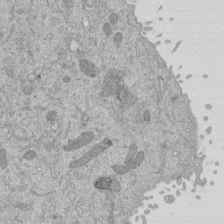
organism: Mouse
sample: ED-1 cell nuclei; centrioles